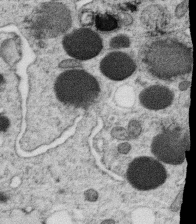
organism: C. elegans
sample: C. elegans oocyte; sperm cells